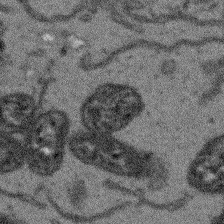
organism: Arabidopsis thaliana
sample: Root tip